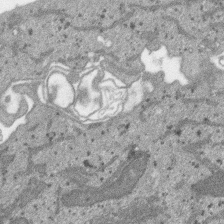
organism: Human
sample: Lung epithelial cells infected with SARS-CoV-2